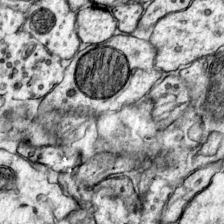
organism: Mouse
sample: Primary visual cortex